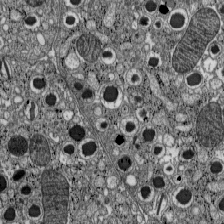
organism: C57BL Mouse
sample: Pancreatic islet